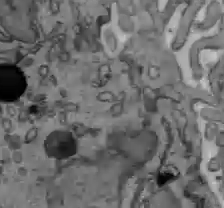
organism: C57BL Mouse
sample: Liver